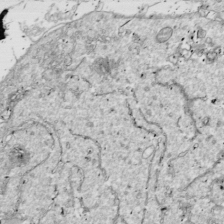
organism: Drosophila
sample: Cell division; meiosis; drosophila spermatocytes